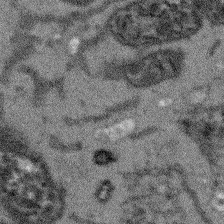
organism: Arabidopsis thaliana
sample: Root tip